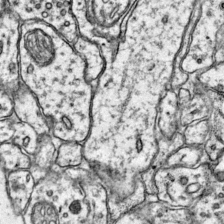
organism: Mouse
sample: Primary visual cortex